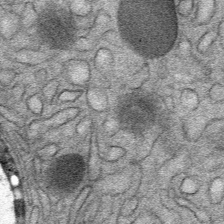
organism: Mouse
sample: Mouse Salivary gland